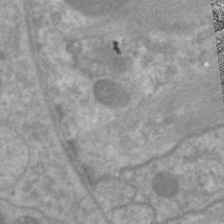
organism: C. elegans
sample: Pharynx